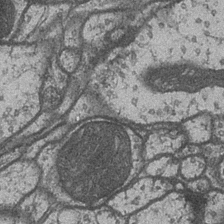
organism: Drosophila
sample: Optic medulla